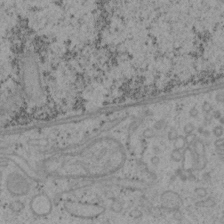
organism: Human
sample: HeLa cells